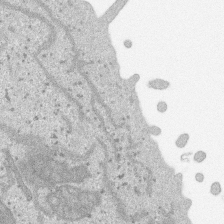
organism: Human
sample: Lung epithelial cells infected with SARS-CoV-2